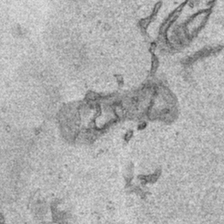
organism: Human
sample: Mitochondria in HCT116 cells